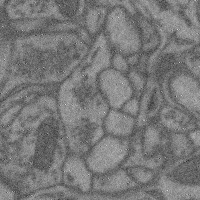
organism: Mouse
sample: Cerebral cortex